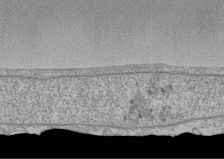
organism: Human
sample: CRL-1474